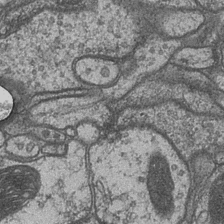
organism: Drosophila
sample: Optic medulla